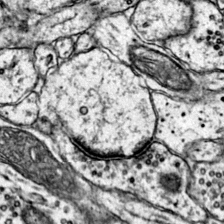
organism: Mouse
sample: Primary visual cortex